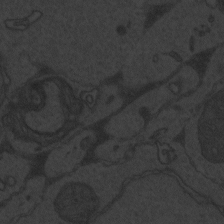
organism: Zebrafish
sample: Macrophage infected with Toxoplasma gondii